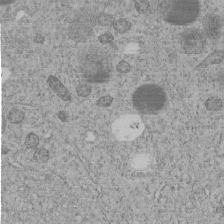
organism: C. elegans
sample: C. elegans embryo early stage